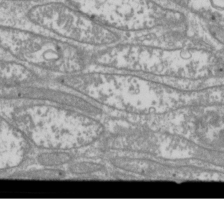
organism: Drosophila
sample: Cell division; meiosis; drosophila spermatocytes